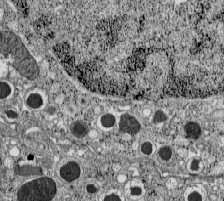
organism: C57BL Mouse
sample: Pancreatic islet